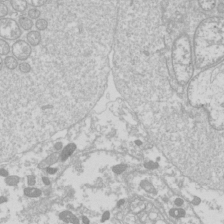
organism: Drosophila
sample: Cell division; meiosis; drosophila spermatocytes